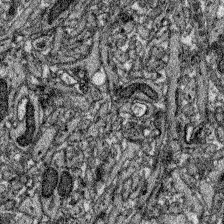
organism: Zebrafish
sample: Larval olfactory bulb